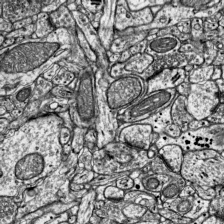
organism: Mouse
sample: Visual Cortex